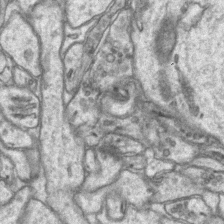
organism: Mouse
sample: CA1 Hippocampus